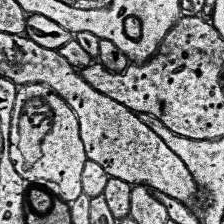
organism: Human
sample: Temporal Lobe